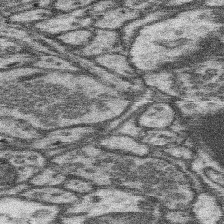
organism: Mouse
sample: Somatosensory cortex neuropil